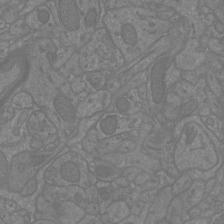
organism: Mouse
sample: Cortical neurons